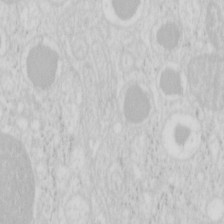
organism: Mouse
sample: Pancreas